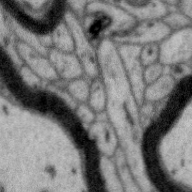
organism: Zebra finch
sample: Brain